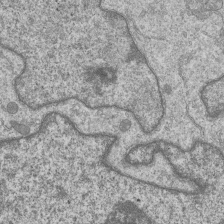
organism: Human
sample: MDA-MB-231 cells